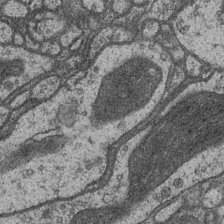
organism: Drosophila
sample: Optic medulla